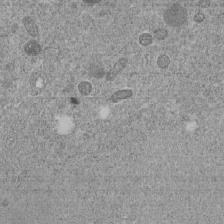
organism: C. elegans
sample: C. elegans embryo early stage